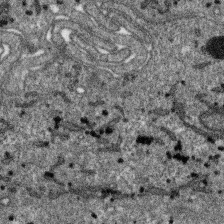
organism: Human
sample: Lung epithelial cells infected with SARS-CoV-2